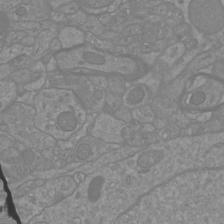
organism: Mouse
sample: Cortical neurons